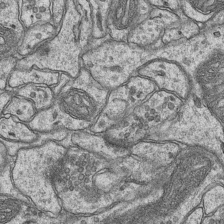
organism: Mouse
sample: CA1 Hippocampus